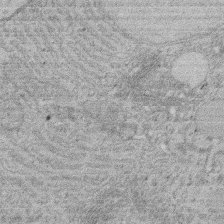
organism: Rat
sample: Salivary granule